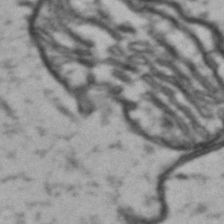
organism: Drosophila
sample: Brain